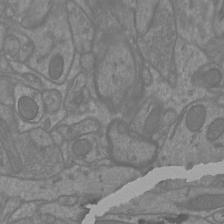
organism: Mouse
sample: Cortical neurons